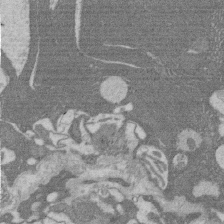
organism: Rat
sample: Salivary granule